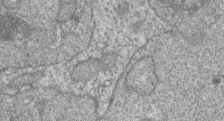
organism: Zebrafish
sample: Cilia; retinal pigment epithelium